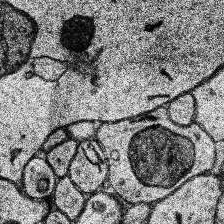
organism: Human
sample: Temporal Lobe